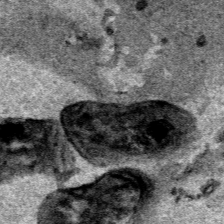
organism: Human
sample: Mitochondria in HCT116 cells